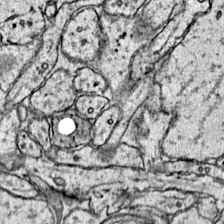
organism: Mouse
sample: Primary visual cortex